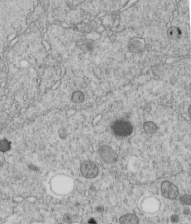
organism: C. elegans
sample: C. elegans embryo early stage